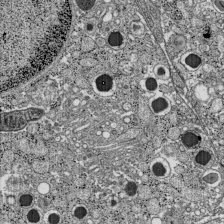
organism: C57BL Mouse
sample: Pancreatic islet